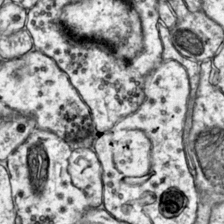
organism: Mouse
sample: Primary visual cortex